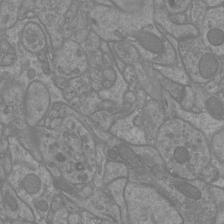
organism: Mouse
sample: Cortical neurons